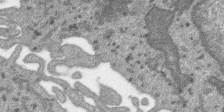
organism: Human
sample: Lung epithelial cells infected with SARS-CoV-2